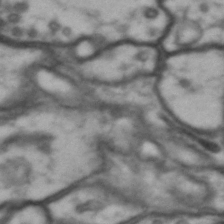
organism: Drosophila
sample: Brain